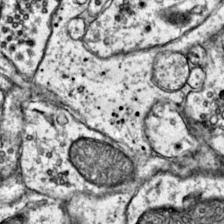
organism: Mouse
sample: Primary visual cortex